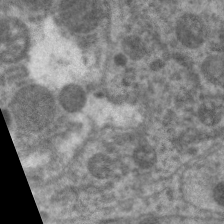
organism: C. elegans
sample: Pharynx